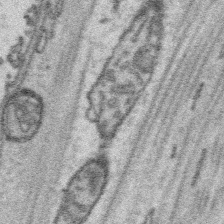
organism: Platynereis dumerilii